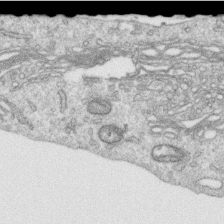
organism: Human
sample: Centriole in RPE cells